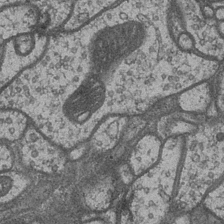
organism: Drosophila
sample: Optic medulla